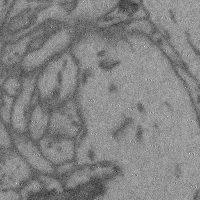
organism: Mouse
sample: Cerebral cortex